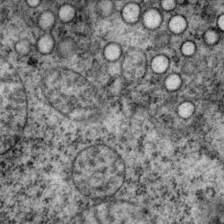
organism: P. pacificus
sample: Pharynx